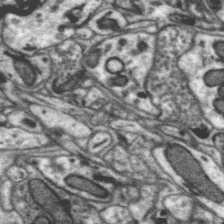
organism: Zebra finch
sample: Brain